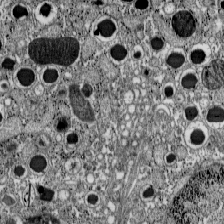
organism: C57BL Mouse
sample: Pancreatic islet